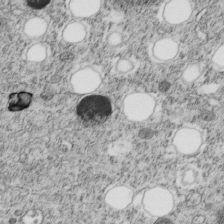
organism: C. elegans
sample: C. elegans embryo early stage